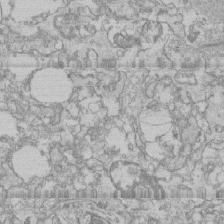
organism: Human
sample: CRL-1474